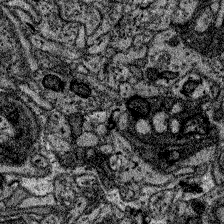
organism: Zebrafish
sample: Larval olfactory bulb